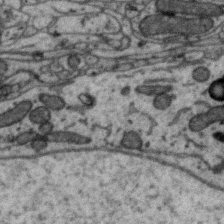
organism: Zebra finch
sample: Brain